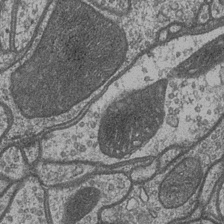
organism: Drosophila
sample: Optic medulla